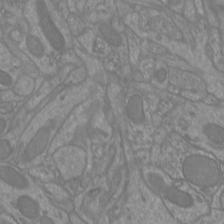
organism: Mouse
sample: Cortical neurons